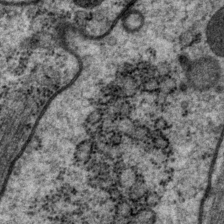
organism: P. pacificus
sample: Pharynx